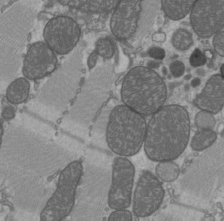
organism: C57BL Mouse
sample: Heart